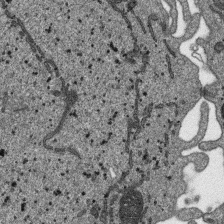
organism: Human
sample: Lung epithelial cells infected with SARS-CoV-2